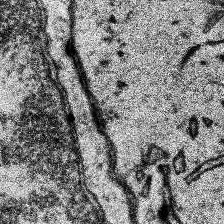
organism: Human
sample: Temporal Lobe